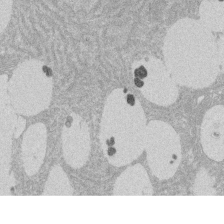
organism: Rat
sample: Salivary granule